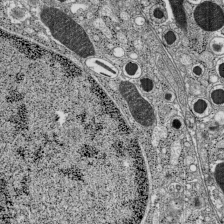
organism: C57BL Mouse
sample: Pancreatic islet